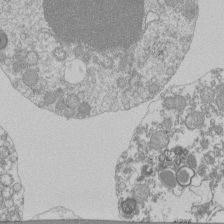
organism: Mouse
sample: Activated Pmel transgenic CD8+ T Cells